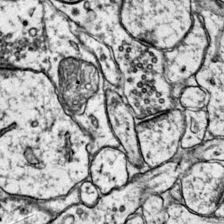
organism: Mouse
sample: Primary visual cortex